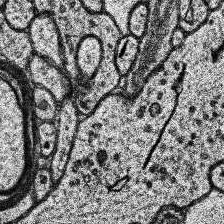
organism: Human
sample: Temporal Lobe